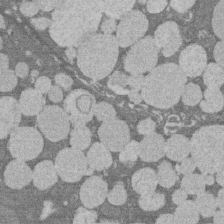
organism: Rat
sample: Salivary granule